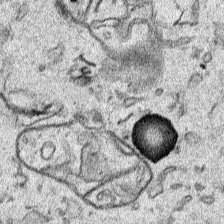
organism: Human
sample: Mitochondria in HCT116 cells